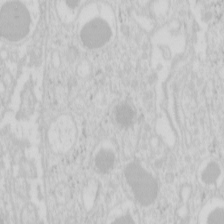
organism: Mouse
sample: Pancreas